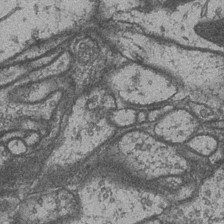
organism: Drosophila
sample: Optic medulla